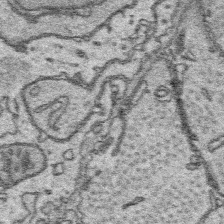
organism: Platynereis dumerilii